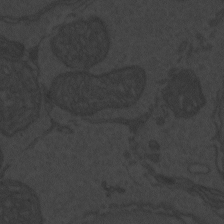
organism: Zebrafish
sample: Macrophage infected with Toxoplasma gondii